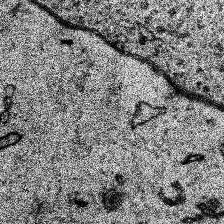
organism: Human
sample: Temporal Lobe